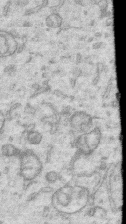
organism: Human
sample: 1205lu cells